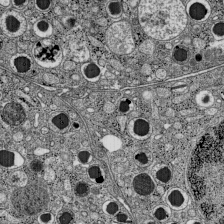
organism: C57BL Mouse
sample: Pancreatic islet